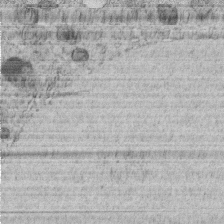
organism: C. elegans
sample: C. elegans embryo early stage